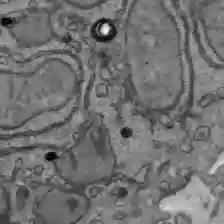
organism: C57BL Mouse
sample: Liver